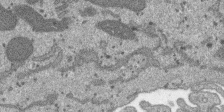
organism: Human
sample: Lung epithelial cells infected with SARS-CoV-2